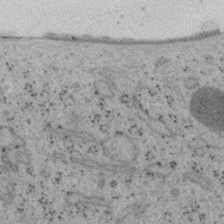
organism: Human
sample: HeLa cells